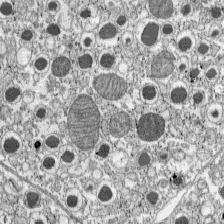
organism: C57BL Mouse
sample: Pancreatic islet